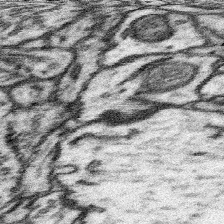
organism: Mouse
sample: Somatosensory cortex neuropil